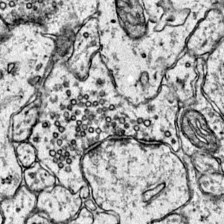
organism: Mouse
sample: Primary visual cortex